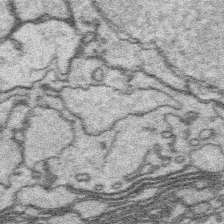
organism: Platynereis dumerilii